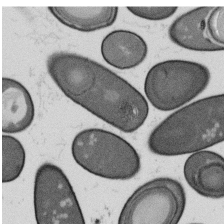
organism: B. subtilis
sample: Bacterial spore